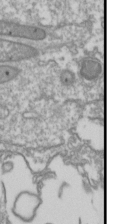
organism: Drosophila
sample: Cell division; meiosis; drosophila spermatocytes